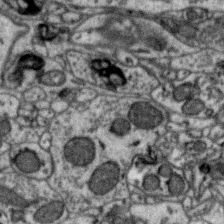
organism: Zebra finch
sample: Brain